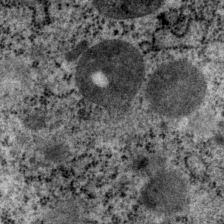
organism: P. pacificus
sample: Pharynx